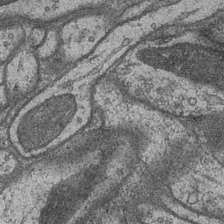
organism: Drosophila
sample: Optic medulla